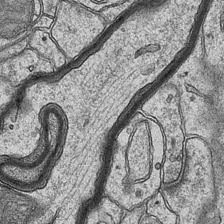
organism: Mouse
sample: CA1 Hippocampus